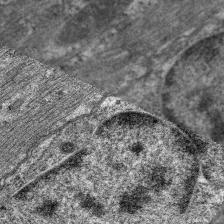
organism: C. elegans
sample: Pharynx